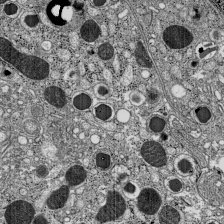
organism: C57BL Mouse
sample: Pancreatic islet